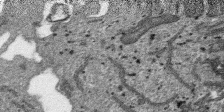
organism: Human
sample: Lung epithelial cells infected with SARS-CoV-2